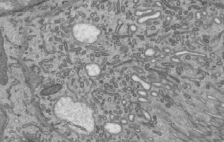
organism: Mouse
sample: Mouse epididymis efferent ductule cilia